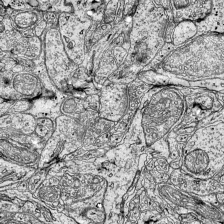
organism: Mouse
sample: Visual Cortex